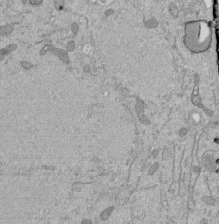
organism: Mouse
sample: ED-1 cell nuclei; centrioles